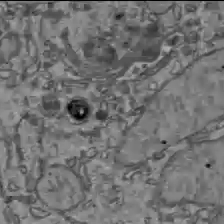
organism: C57BL Mouse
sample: Liver